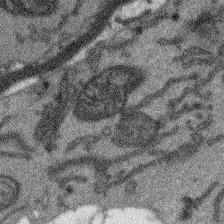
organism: Arabidopsis thaliana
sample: Root tip